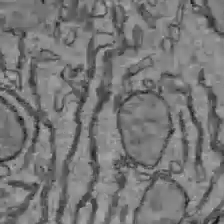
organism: C57BL Mouse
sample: Liver